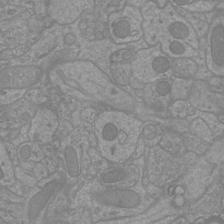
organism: Mouse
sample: Cortical neurons